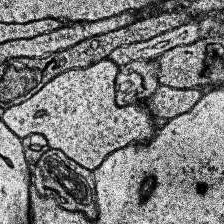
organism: Human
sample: Temporal Lobe